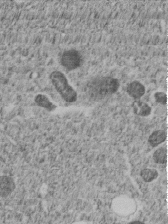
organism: C. elegans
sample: C. elegans embryo early stage